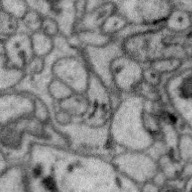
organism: Zebra finch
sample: Brain